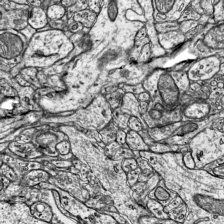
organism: Mouse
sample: Visual Cortex